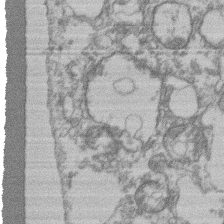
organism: Mouse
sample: T cell stromal cell synapse